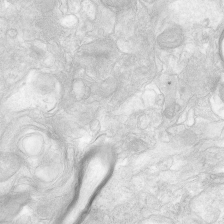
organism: Human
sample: Neocortex